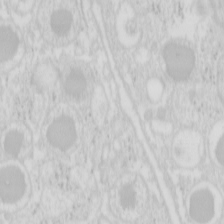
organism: Mouse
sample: Pancreas